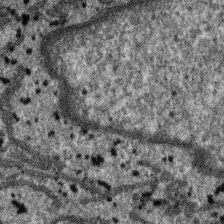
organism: Human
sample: Lung epithelial cells infected with SARS-CoV-2